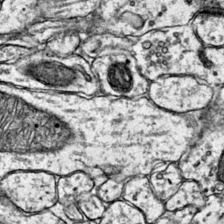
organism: Mouse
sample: Primary visual cortex